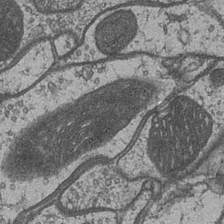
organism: Drosophila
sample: Optic medulla